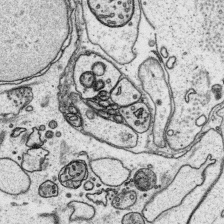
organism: Platynereis dumerilii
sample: Parapodia